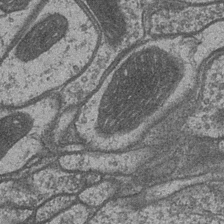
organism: Drosophila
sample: Optic medulla